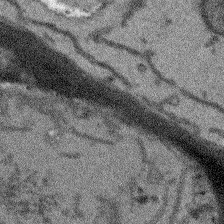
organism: Arabidopsis thaliana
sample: Root tip